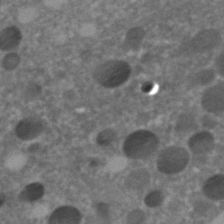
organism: C. elegans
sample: C. elegans embryo